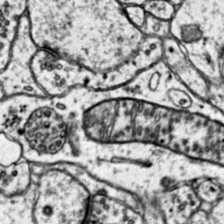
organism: Mouse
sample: Primary visual cortex